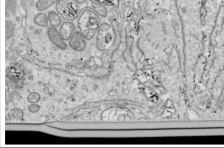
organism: Drosophila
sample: Cell division; meiosis; drosophila spermatocytes